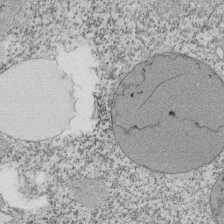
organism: Tetrahymena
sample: Cilia in tetrahymena